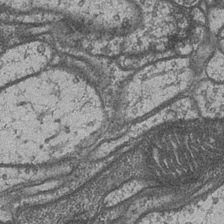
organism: Drosophila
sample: Optic medulla